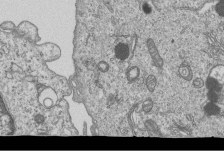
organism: Human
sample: MDA-MB-231 cells